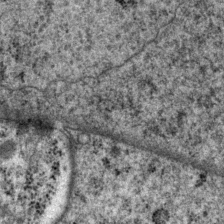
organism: P. pacificus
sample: Pharynx